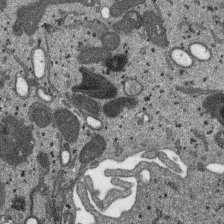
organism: Human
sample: Lung epithelial cells infected with SARS-CoV-2